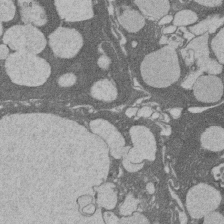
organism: Rat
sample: Salivary granule